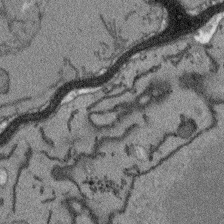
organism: Arabidopsis thaliana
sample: Root tip